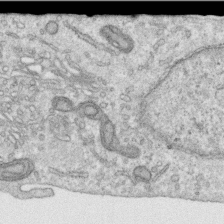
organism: Human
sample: Centriole in RPE cells